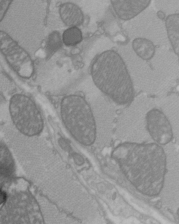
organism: C57BL Mouse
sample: Heart